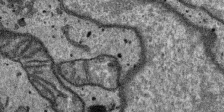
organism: Human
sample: Lung epithelial cells, uninfected (mock) control